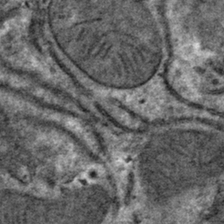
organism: Mouse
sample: Mouse hepatocytes